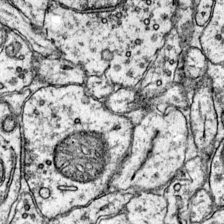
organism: Mouse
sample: Primary visual cortex